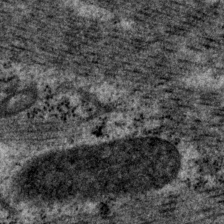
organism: P. pacificus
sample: Pharynx